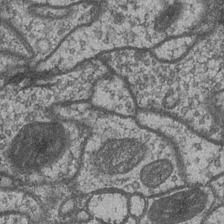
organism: Drosophila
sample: Optic medulla